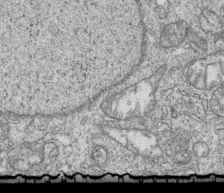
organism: Human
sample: HeLa cell HIV synapse